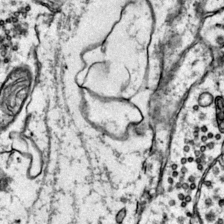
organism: Mouse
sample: Primary visual cortex